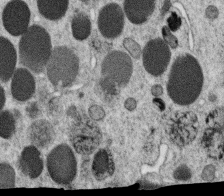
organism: C. elegans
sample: C. elegans oocyte; sperm cells